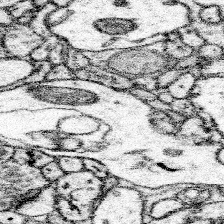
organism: Mouse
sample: Somatosensory cortex neuropil